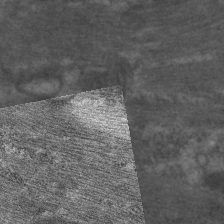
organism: C. elegans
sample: Pharynx